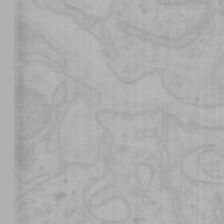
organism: Mouse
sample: Choroid plexus